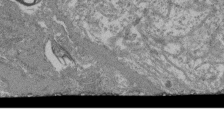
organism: Mouse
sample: Glomerulus